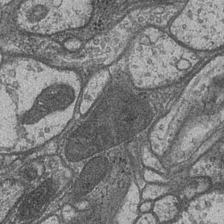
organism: Drosophila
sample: Optic medulla